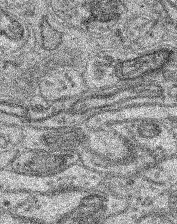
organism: Mouse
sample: Retina